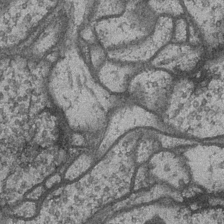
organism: Drosophila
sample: Optic medulla